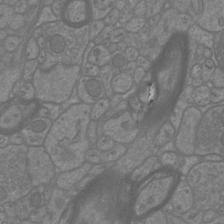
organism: Mouse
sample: Cortical neurons